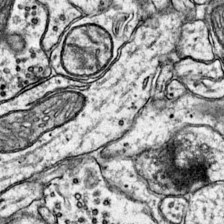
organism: Mouse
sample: Primary visual cortex